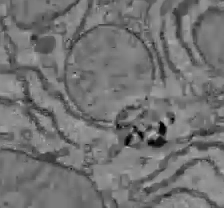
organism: C57BL Mouse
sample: Liver